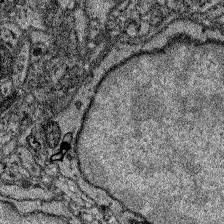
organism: Zebrafish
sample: Larval olfactory bulb